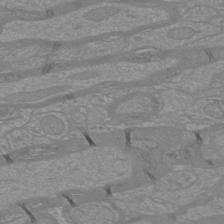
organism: Mouse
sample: Cortical neurons